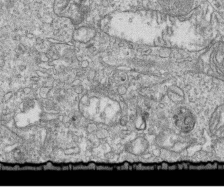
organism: Human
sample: HeLa cell HIV synapse